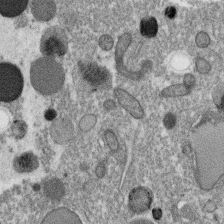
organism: C. elegans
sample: C. elegans oocyte; sperm cells